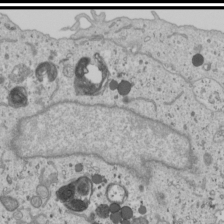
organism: Human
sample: Mitochondria in U2OS cells